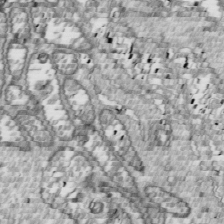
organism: Drosophila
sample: Cell division; meiosis; drosophila spermatocytes